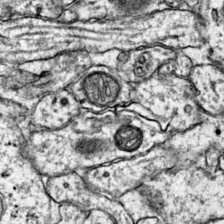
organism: Mouse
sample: Primary visual cortex